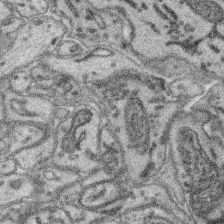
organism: Mouse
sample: Retina